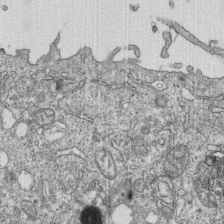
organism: Human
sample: HeLa cell HIV synapse